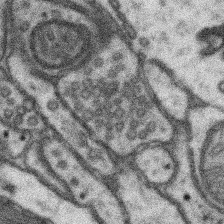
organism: Mouse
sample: Somatosensory cortex neuropil